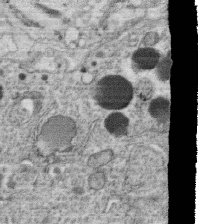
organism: C. elegans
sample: C. elegans oocyte; sperm cells